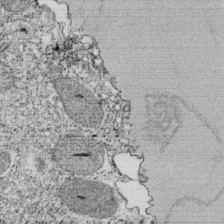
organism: Tetrahymena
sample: Cilia in tetrahymena